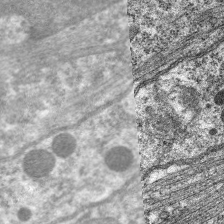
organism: C. elegans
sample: Pharynx